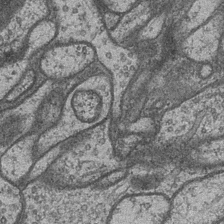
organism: Drosophila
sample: Optic medulla